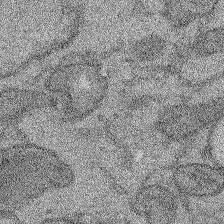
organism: Human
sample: HeLa cells